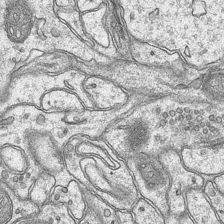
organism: Mouse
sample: CA1 Hippocampus